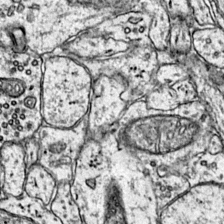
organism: Mouse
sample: Primary visual cortex